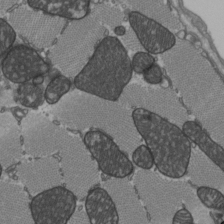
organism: C57BL Mouse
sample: Heart